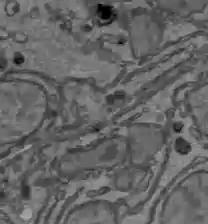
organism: C57BL Mouse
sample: Liver